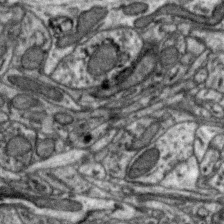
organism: Zebra finch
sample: Brain